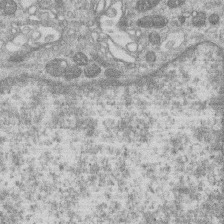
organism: Human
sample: Macrophage cells